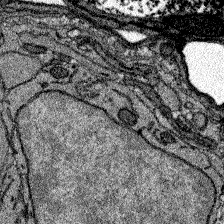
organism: Zebrafish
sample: Larval olfactory bulb